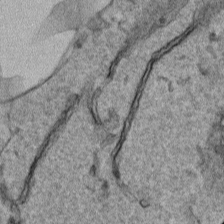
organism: Human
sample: Mitochondria in HCT116 cells